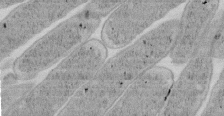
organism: E. coli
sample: Bacterial nucleoid